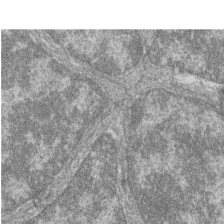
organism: Zebrafish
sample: Cilia; retinal pigment epithelium